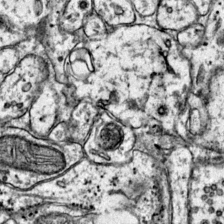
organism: Mouse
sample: Primary visual cortex